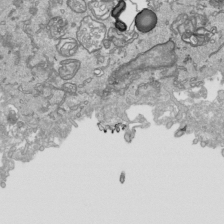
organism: Human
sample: Mitochondria in HCT116 cells